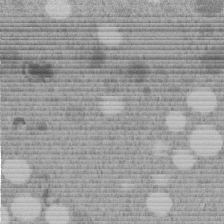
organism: C. elegans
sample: C. elegans embryo early stage